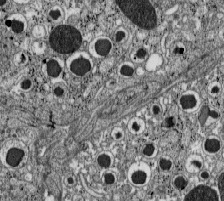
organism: C57BL Mouse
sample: Pancreatic islet